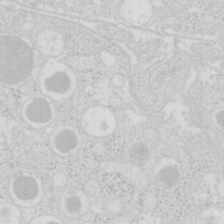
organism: Mouse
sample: Pancreas